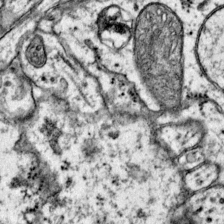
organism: Mouse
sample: Primary visual cortex